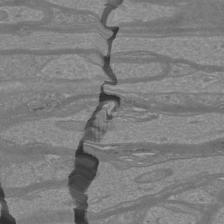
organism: Mouse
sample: Cortical neurons